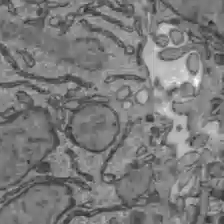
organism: C57BL Mouse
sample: Liver